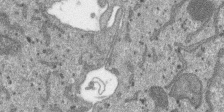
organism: Human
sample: Lung epithelial cells infected with SARS-CoV-2